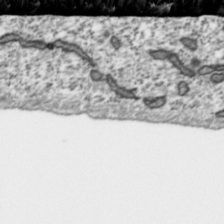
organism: Toxoplasma gondii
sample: Parasites in a vacuole inside a host cell